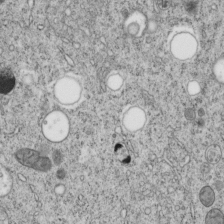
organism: C. elegans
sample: C. elegans embryo early stage